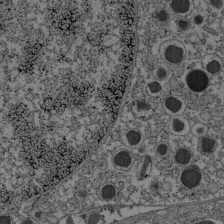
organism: C57BL Mouse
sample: Pancreatic islet